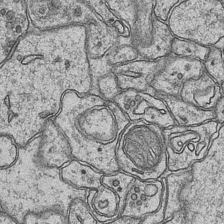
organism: Mouse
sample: CA1 Hippocampus